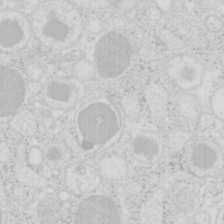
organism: Mouse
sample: Pancreas